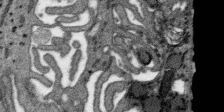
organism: Human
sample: Lung epithelial cells, uninfected (mock) control